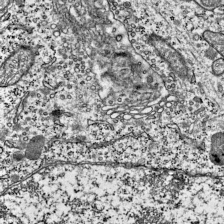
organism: Mouse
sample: Visual Cortex